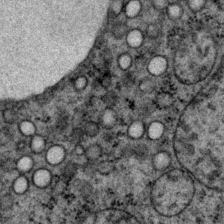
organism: P. pacificus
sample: Pharynx